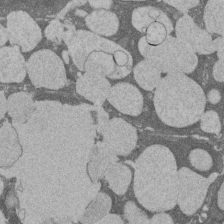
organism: Rat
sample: Salivary granule